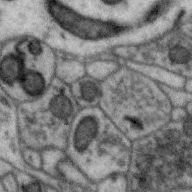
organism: Zebra finch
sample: Brain